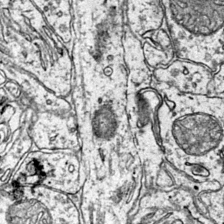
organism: Mouse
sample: Primary visual cortex